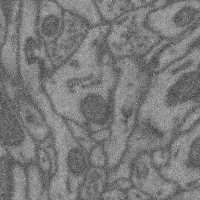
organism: Mouse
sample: Cerebral cortex